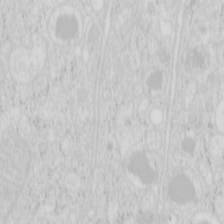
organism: Mouse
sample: Pancreas